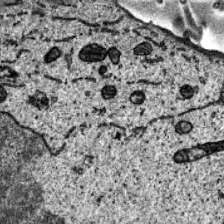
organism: Human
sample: HeLa cells